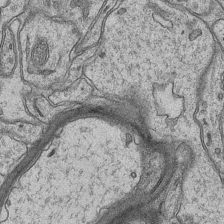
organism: Mouse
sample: CA1 Hippocampus